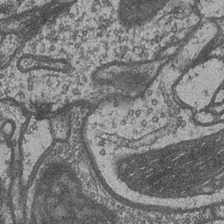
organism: Drosophila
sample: Optic medulla